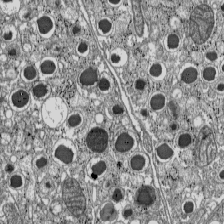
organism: C57BL Mouse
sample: Pancreatic islet